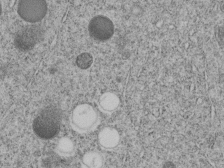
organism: C. elegans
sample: C. elegans embryo early stage